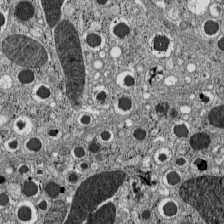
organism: C57BL Mouse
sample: Pancreatic islet